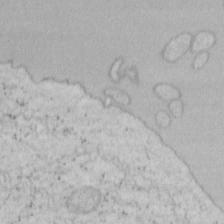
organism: Human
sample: HeLa cells